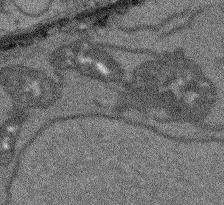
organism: Arabidopsis thaliana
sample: Root tip